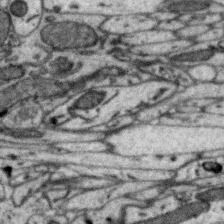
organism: Zebra finch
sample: Brain